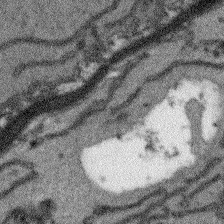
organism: Arabidopsis thaliana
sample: Root tip